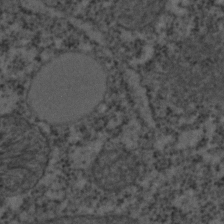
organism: C. elegans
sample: C. elegans embryo